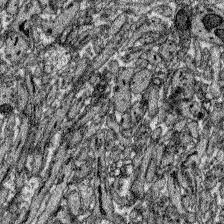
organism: Zebrafish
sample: Larval olfactory bulb